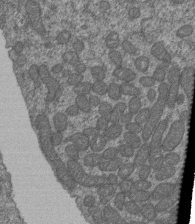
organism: Human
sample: Retinal organoid Rod and Cone cells